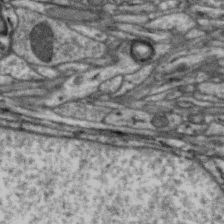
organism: Zebra finch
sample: Brain